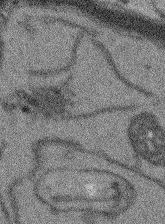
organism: Arabidopsis thaliana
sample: Root tip